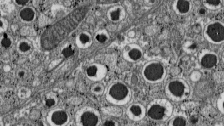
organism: C57BL Mouse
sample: Pancreatic islet